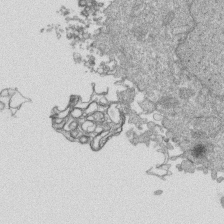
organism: Human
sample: HeLa cell HIV synapse